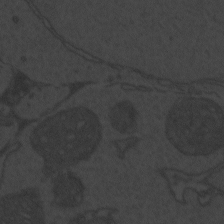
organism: Zebrafish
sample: Macrophage infected with Toxoplasma gondii